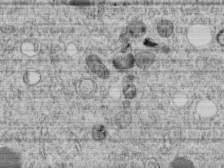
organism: C. elegans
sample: C. elegans embryo early stage